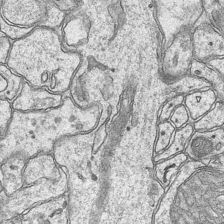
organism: Mouse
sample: CA1 Hippocampus